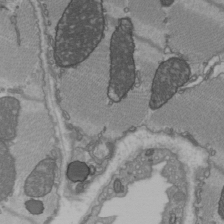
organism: C57BL Mouse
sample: Heart